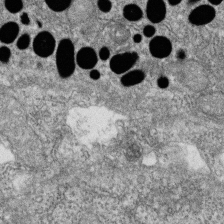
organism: Zebrafish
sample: Cilia; retinal pigment epithelium